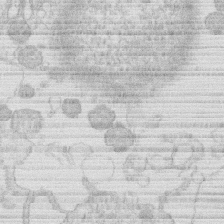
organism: Human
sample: Macrophage cells